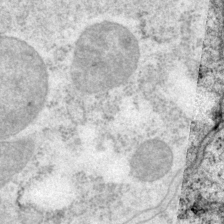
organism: P. pacificus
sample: Pharynx